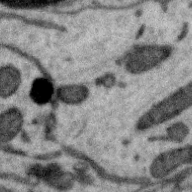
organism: Zebra finch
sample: Brain